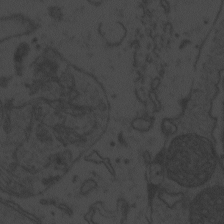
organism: Zebrafish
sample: Macrophage infected with Toxoplasma gondii